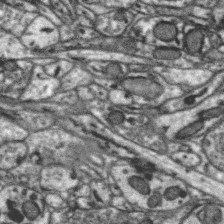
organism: Zebra finch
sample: Brain